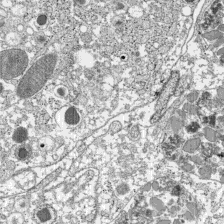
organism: C57BL Mouse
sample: Pancreatic islet